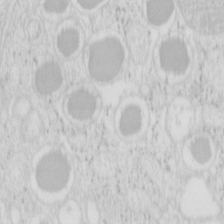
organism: Mouse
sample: Pancreas